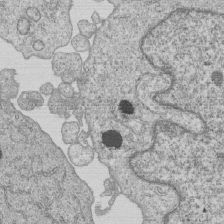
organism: Human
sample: MDA-MB-231 cells